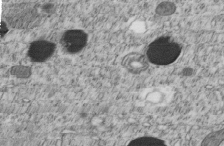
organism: C. elegans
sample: C. elegans embryo early stage